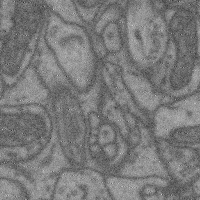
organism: Mouse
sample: Cerebral cortex